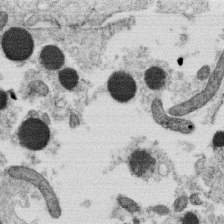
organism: C. elegans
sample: C. elegans oocyte; sperm cells